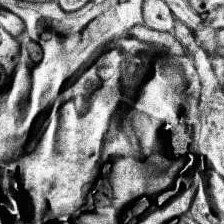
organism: Human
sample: Temporal Lobe